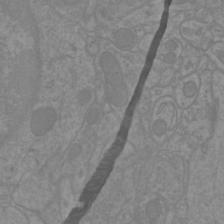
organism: Mouse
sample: Cortical neurons